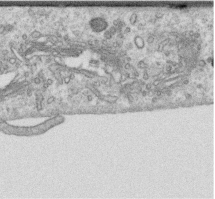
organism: Human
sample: Centriole in RPE cells